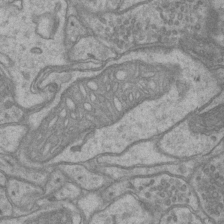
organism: Mouse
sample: CA1 Hippocampus